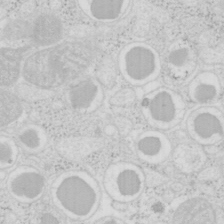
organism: Mouse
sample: Pancreas